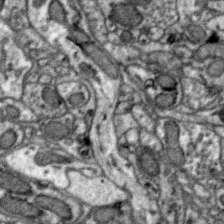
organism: Zebra finch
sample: Brain